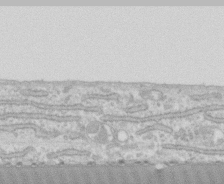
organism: Human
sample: CRL-1474